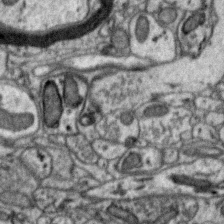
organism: Zebra finch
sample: Brain